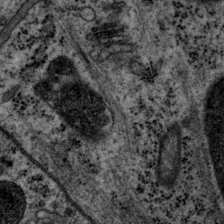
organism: P. pacificus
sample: Pharynx